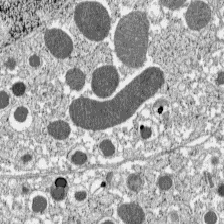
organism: C57BL Mouse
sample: Pancreatic islet